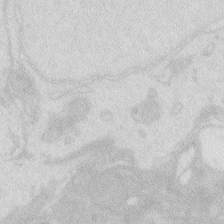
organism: Zebrafish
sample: Macrophage